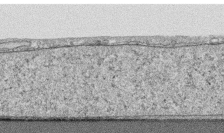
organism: Human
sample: CRL-1474